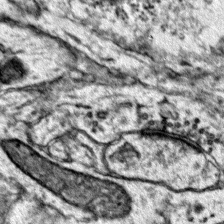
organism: Mouse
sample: Primary visual cortex